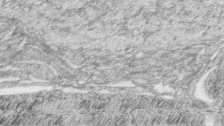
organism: Zebrafish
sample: synaptic ribbons in rod cells and cone cells